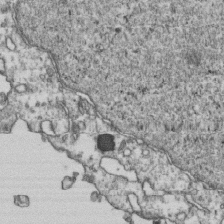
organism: Human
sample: Activated Jurkat CD4+ T cells